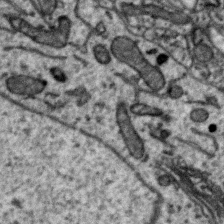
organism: Zebra finch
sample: Brain